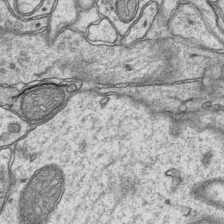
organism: Mouse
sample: CA1 Hippocampus